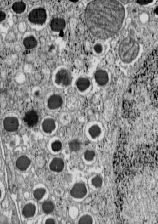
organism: C57BL Mouse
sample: Pancreatic islet